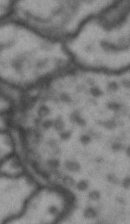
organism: Drosophila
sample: Brain